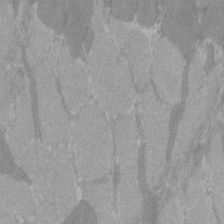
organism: C57BL Mouse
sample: Tibialis anterior muscle cell